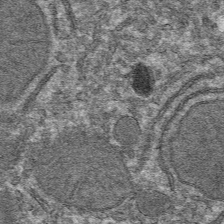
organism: Mouse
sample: Mouse hepatocytes